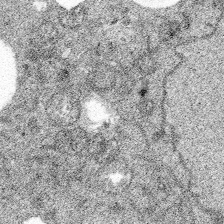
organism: Spongilla lacustris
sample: Multiple